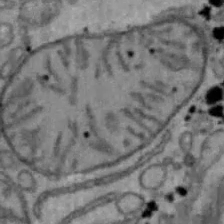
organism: Mouse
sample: Liver